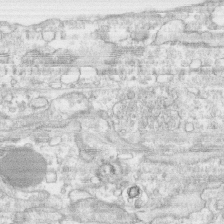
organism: Human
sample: CRL-1474